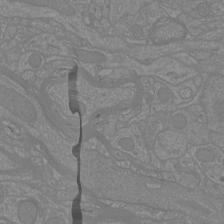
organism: Mouse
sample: Cortical neurons